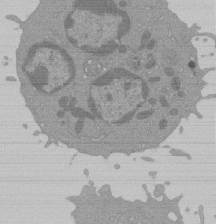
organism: Mouse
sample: Activated Pmel transgenic CD8+ T Cells